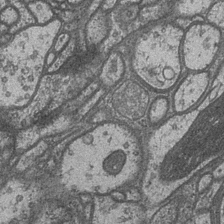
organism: Drosophila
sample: Optic medulla